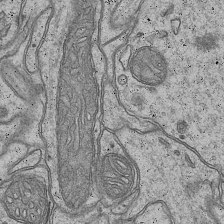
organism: Mouse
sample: CA1 Hippocampus